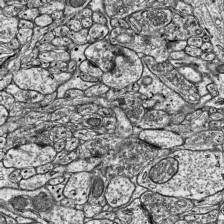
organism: Mouse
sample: Visual Cortex